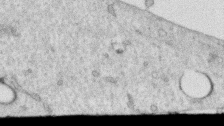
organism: Human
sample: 1205lu cells